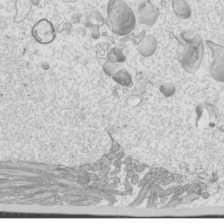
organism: Mouse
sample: Cilia; mouse epididymis